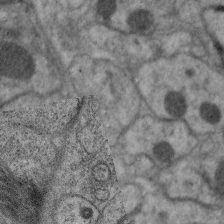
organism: C. elegans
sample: Pharynx